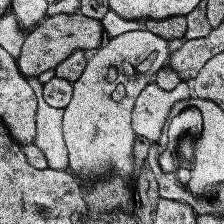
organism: Human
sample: Temporal Lobe